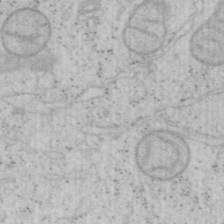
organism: Human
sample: HeLa cells